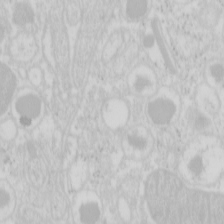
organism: Mouse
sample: Pancreas